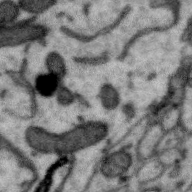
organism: Zebra finch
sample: Brain